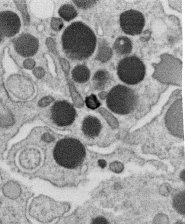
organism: C. elegans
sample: C. elegans oocyte; sperm cells